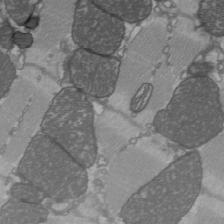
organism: C57BL Mouse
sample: Heart